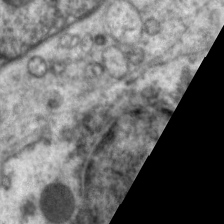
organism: C. elegans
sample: Pharynx